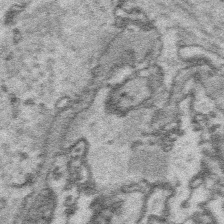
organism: Platynereis dumerilii